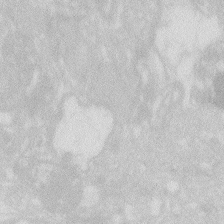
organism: Zebrafish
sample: Macrophage